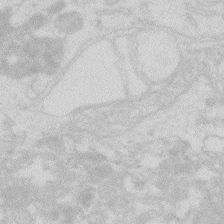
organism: Zebrafish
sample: Macrophage